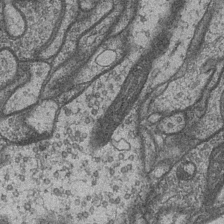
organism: Drosophila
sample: Optic medulla